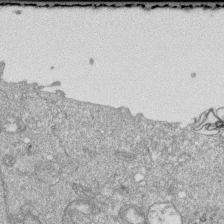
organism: Human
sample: HeLa cell HIV synapse